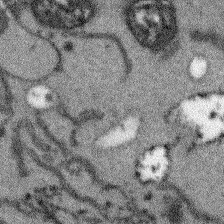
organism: Arabidopsis thaliana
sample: Root tip